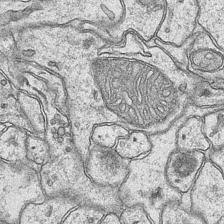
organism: Mouse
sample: CA1 Hippocampus